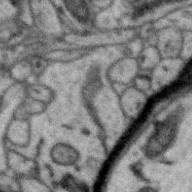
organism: Zebra finch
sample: Brain